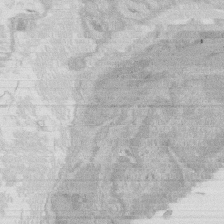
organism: Rat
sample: Salivary granule